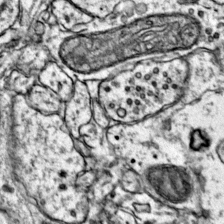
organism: Mouse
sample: Primary visual cortex